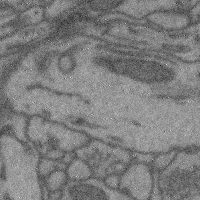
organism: Mouse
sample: Cerebral cortex